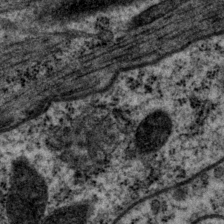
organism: P. pacificus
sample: Pharynx